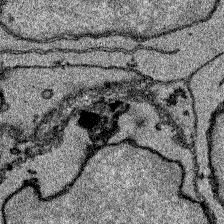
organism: Zebrafish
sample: Larval olfactory bulb